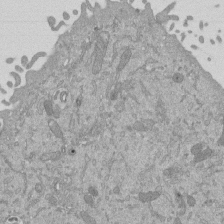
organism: Mouse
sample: ED-1 cell nuclei; centrioles